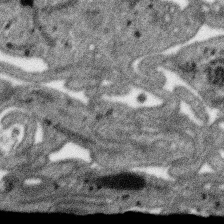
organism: Human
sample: Lung epithelial cells infected with SARS-CoV-2